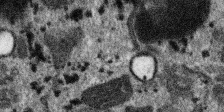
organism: Human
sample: Lung epithelial cells infected with SARS-CoV-2